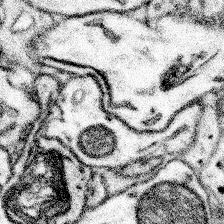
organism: Mouse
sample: Somatosensory cortex neuropil